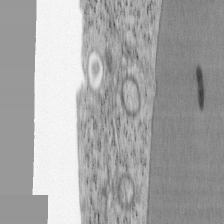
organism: Human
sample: HeLa cells